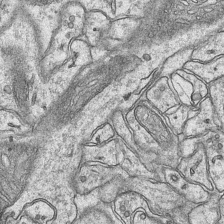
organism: Mouse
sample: CA1 Hippocampus